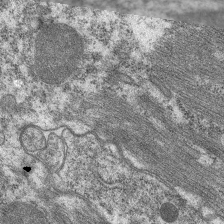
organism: C. elegans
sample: Pharynx